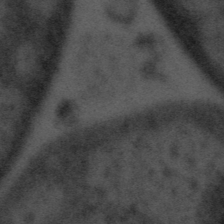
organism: Tuwongella immobilis